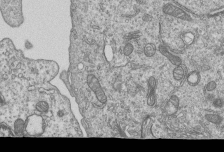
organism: Human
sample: MDA-MB-231 cells